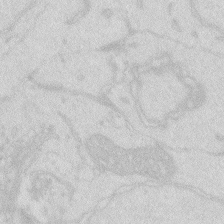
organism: Zebrafish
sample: Macrophage